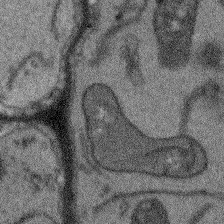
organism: Arabidopsis thaliana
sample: Root tip